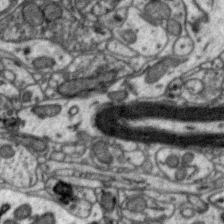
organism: Zebra finch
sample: Brain